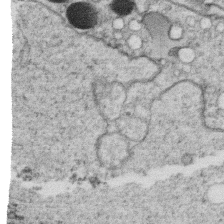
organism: C. elegans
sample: C. elegans oocyte; sperm cells